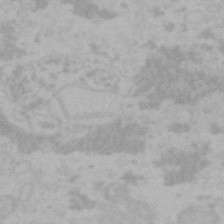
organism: Mouse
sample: Choroid plexus